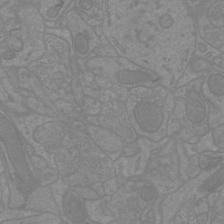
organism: Mouse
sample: Cortical neurons